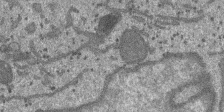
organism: Human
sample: Lung epithelial cells infected with SARS-CoV-2